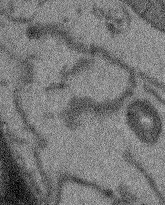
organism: Arabidopsis thaliana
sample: Root tip